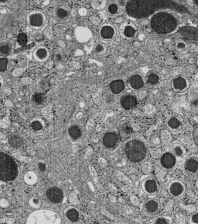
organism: C57BL Mouse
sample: Pancreatic islet